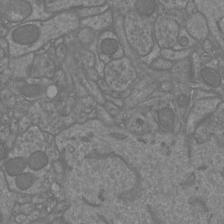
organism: Mouse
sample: Cortical neurons